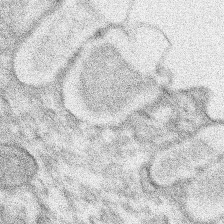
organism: Xenopus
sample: Cilia; centrioles in frog embryo cells